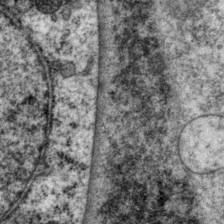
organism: P. pacificus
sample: Pharynx